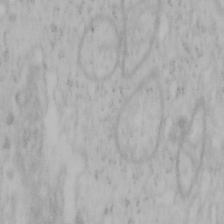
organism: Mouse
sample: OT-I killer T cells with ID8 ovarian cancer cells